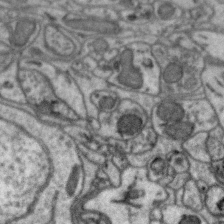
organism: Zebra finch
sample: Brain